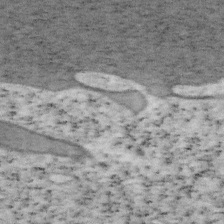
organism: Mouse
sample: OT-I killer T cells with ID8 ovarian cancer cells